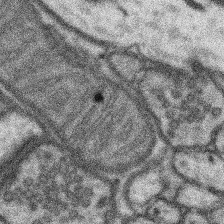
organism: Mouse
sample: Somatosensory cortex neuropil